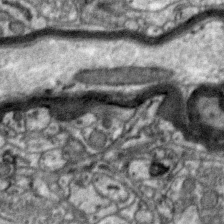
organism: Zebra finch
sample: Brain